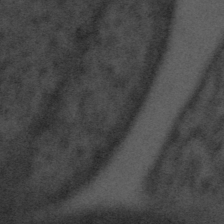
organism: Tuwongella immobilis